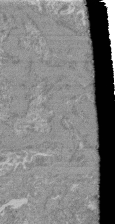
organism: Mouse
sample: Glomerulus